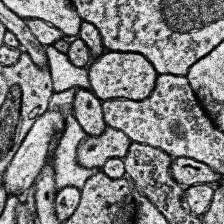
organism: Human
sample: Temporal Lobe